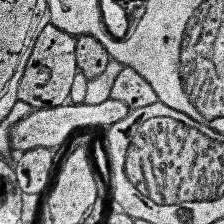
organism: Human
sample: Temporal Lobe